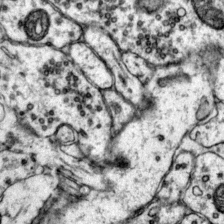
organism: Mouse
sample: Primary visual cortex